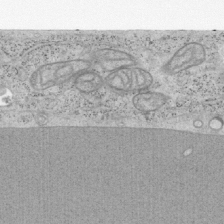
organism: Human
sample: HeLa cells